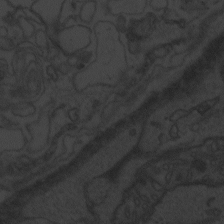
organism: Zebrafish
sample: Macrophage infected with Toxoplasma gondii